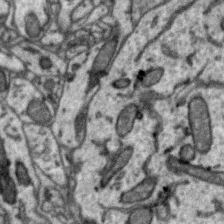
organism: Zebra finch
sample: Brain